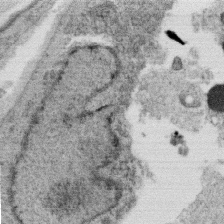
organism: C. elegans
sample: C. elegans oocyte; sperm cells